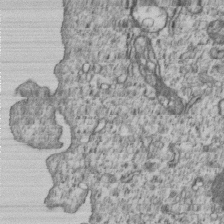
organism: Human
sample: MDA-MB-231 cells